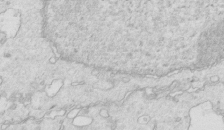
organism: Mouse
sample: Multiciliated cells